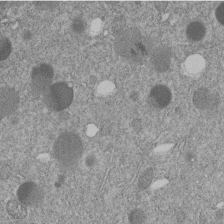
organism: C. elegans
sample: C. elegans embryo early stage